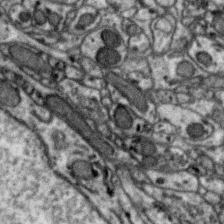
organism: Zebra finch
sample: Brain